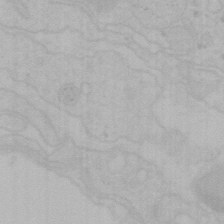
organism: Mouse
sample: Choroid plexus